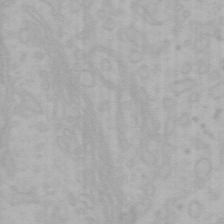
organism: Mouse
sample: Choroid plexus